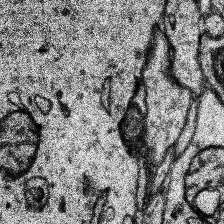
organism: Human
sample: Temporal Lobe